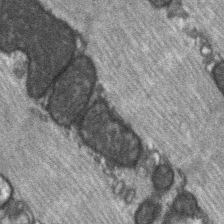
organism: C57BL Mouse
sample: Soleus